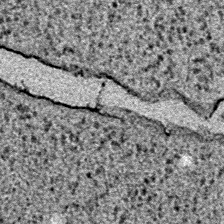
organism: E. coli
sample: E. Coli Bacteria